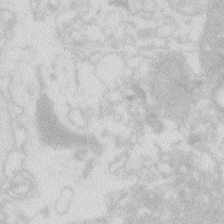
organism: Zebrafish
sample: Macrophage